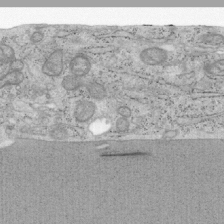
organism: Human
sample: HeLa cells